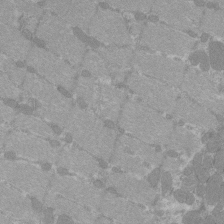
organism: C57BL Mouse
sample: Tibialis anterior muscle cell